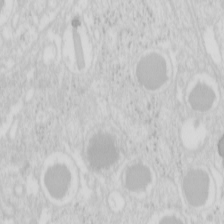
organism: Mouse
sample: Pancreas